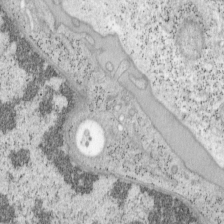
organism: Mouse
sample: OT-I killer T cells with ID8 ovarian cancer cells